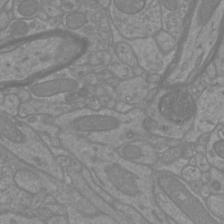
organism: Mouse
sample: Cortical neurons